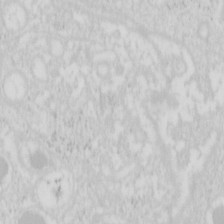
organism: Mouse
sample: Pancreas